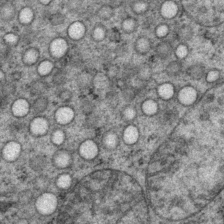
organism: P. pacificus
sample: Pharynx